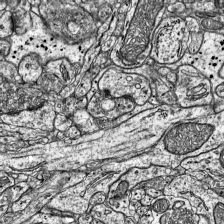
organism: Mouse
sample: Visual Cortex